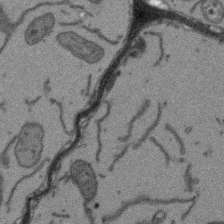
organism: Arabidopsis thaliana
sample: Root tip